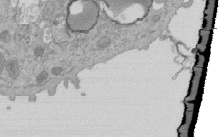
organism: Mouse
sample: ED-1 cell nuclei; centrioles